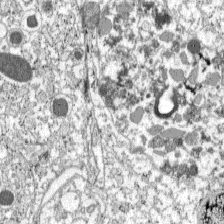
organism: C57BL Mouse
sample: Pancreatic islet